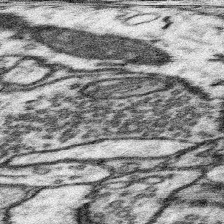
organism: Mouse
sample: Somatosensory cortex neuropil